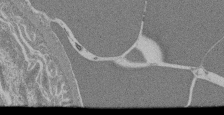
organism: Mouse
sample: Glomerulus